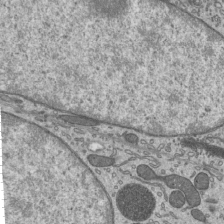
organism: Mouse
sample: Mouse epididymis efferent ductule cilia